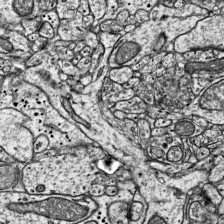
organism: Mouse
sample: Visual Cortex